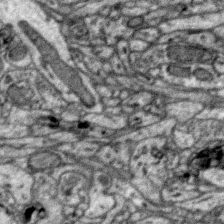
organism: Zebra finch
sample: Brain